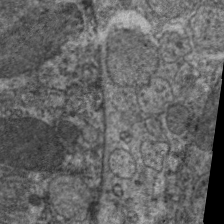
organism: C. elegans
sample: Pharynx